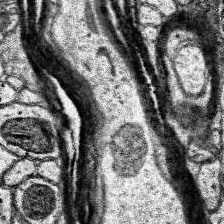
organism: Human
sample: Temporal Lobe